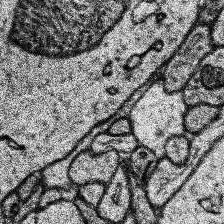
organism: Human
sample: Temporal Lobe